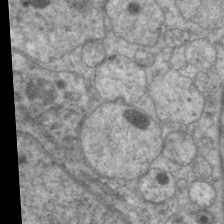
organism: C. elegans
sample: Pharynx